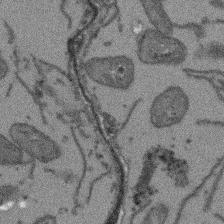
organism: Arabidopsis thaliana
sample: Root tip